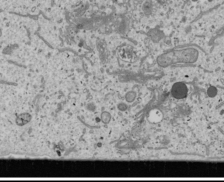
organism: Human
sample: Mitochondria in U2OS cells